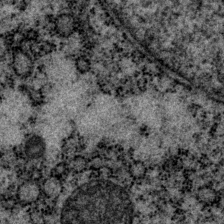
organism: P. pacificus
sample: Pharynx